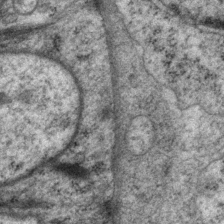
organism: P. pacificus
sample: Pharynx